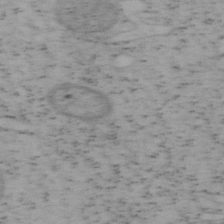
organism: Mouse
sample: OT-I killer T cells with ID8 ovarian cancer cells